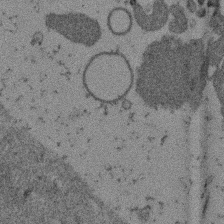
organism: Mouse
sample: Dividing mouse embryo 1 cell stage